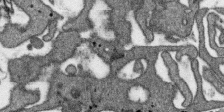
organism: Human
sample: Lung epithelial cells, uninfected (mock) control